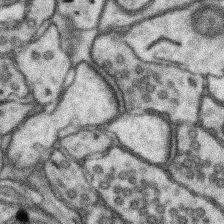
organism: Mouse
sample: Somatosensory cortex neuropil